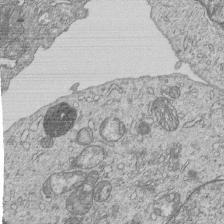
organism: Human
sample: MDA-MB-231 cells